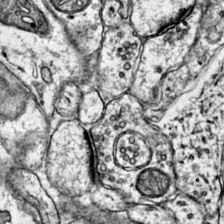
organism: Mouse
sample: Primary visual cortex